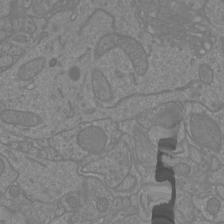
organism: Mouse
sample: Cortical neurons